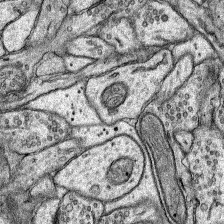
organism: Rat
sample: Hippocampus